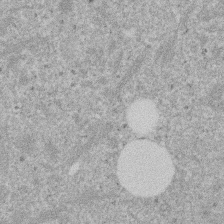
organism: Mouse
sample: Dividing mouse embryo 1 cell stage